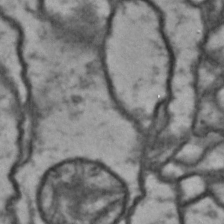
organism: Drosophila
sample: Brain